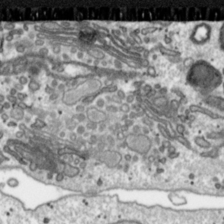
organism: Toxoplasma gondii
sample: Parasites in a vacuole inside a host cell